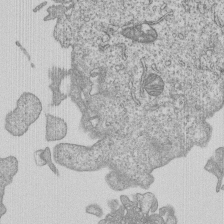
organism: Human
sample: MDA-MB-231 cells